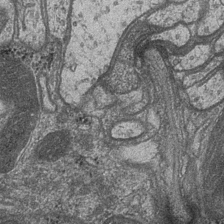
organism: Drosophila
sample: Optic medulla